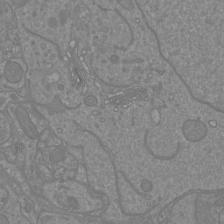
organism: Mouse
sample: Cortical neurons